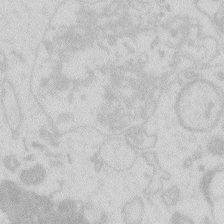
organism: Zebrafish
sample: Macrophage